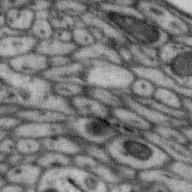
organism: Zebra finch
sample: Brain